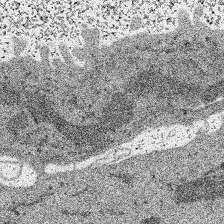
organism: Human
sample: Lung epithelial cells infected with SARS-CoV-2